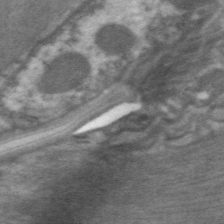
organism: C. elegans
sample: Pharynx